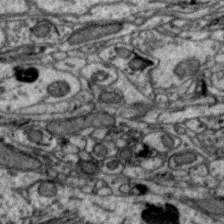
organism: Zebra finch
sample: Brain